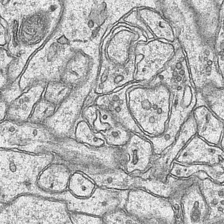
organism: Mouse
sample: CA1 Hippocampus